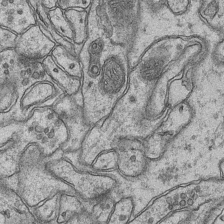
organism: Mouse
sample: CA1 Hippocampus